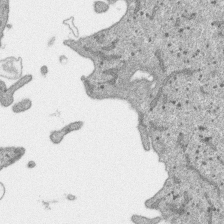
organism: Human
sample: Lung epithelial cells infected with SARS-CoV-2